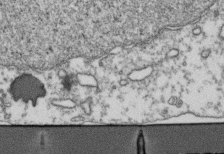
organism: Human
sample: Activated Jurkat CD4+ T cells